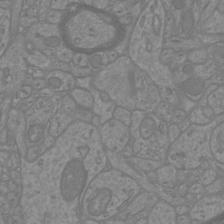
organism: Mouse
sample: Cortical neurons